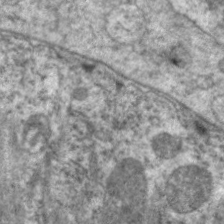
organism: C. elegans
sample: Pharynx